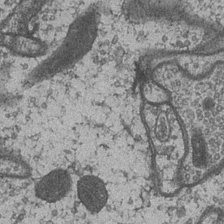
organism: Drosophila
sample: Optic medulla